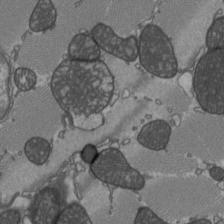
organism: C57BL Mouse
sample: Heart